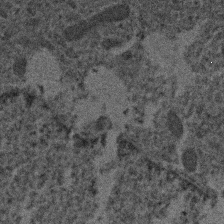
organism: Human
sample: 1205lu cells